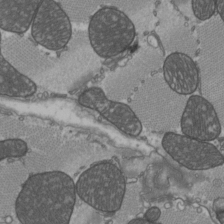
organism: C57BL Mouse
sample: Heart